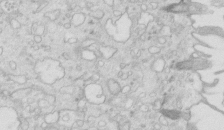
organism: Mouse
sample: Multiciliated cells